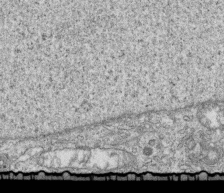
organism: Human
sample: HeLa cell HIV synapse